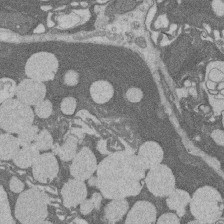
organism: Rat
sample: Salivary granule